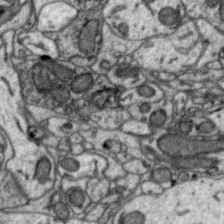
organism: Zebra finch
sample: Brain